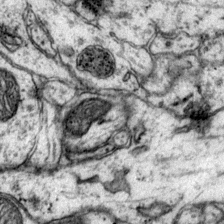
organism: Mouse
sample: Primary visual cortex